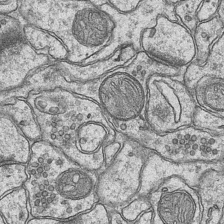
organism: Mouse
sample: CA1 Hippocampus